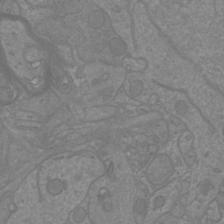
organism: Mouse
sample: Cortical neurons